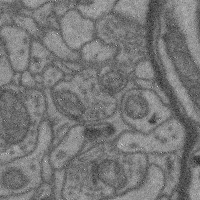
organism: Mouse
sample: Cerebral cortex